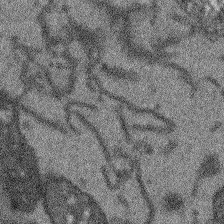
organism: Arabidopsis thaliana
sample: Root tip